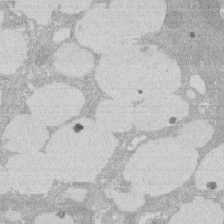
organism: Rat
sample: Salivary granule